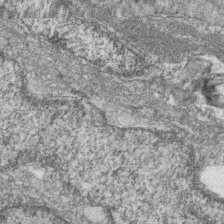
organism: Zebrafish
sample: Cilia; retinal pigment epithelium